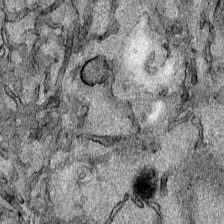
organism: Human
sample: Mitochondria in HCT116 cells